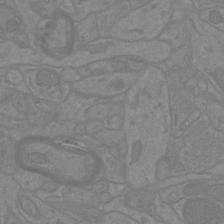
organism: Mouse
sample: Cortical neurons